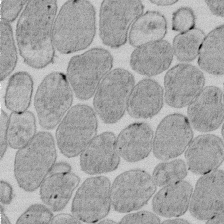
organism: E. coli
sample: Bacterial nucleoid